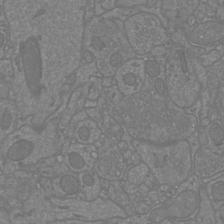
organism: Mouse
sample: Cortical neurons